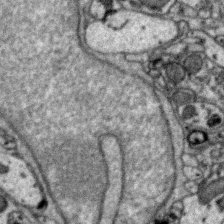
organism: Zebra finch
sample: Brain